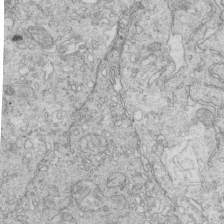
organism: Mouse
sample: Multiciliated cells